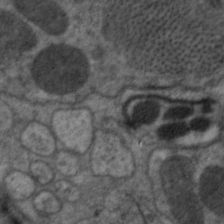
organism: C. elegans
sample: Pharynx